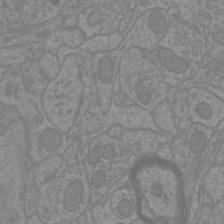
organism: Mouse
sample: Cortical neurons